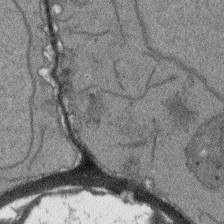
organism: Arabidopsis thaliana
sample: Root tip